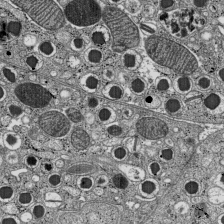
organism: C57BL Mouse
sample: Pancreatic islet